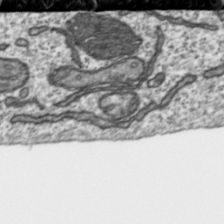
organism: Toxoplasma gondii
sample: Parasites in a vacuole inside a host cell